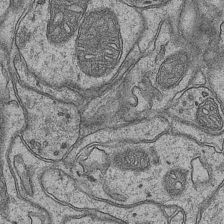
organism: Mouse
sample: CA1 Hippocampus